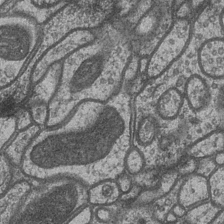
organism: Drosophila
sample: Optic medulla